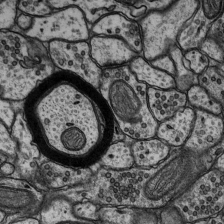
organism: Rat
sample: Hippocampus